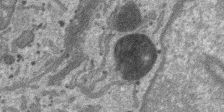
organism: Human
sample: Lung epithelial cells infected with SARS-CoV-2